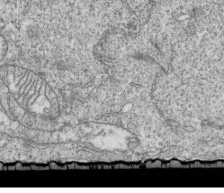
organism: Human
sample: HeLa cell HIV synapse